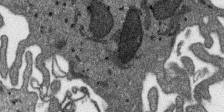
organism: Human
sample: Lung epithelial cells infected with SARS-CoV-2